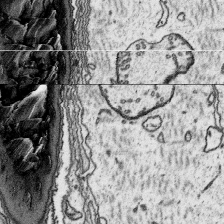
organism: Platynereis dumerilii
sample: Parapodia